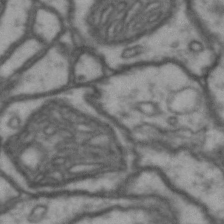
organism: Drosophila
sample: Brain